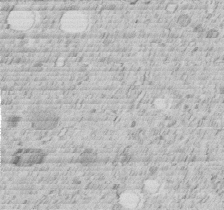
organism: C. elegans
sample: C. elegans embryo early stage